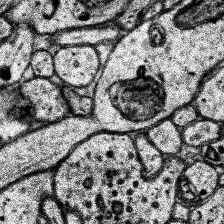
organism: Human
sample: Temporal Lobe